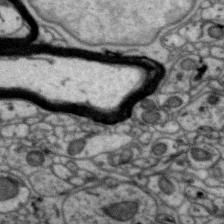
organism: Zebra finch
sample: Brain